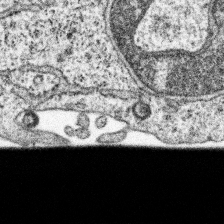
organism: Human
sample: HeLa cells